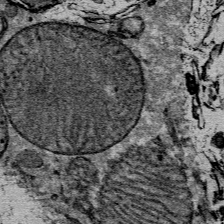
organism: Mouse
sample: Mouse Salivary gland